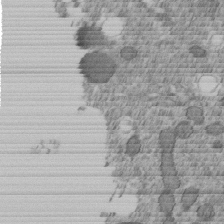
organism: C. elegans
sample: C. elegans embryo early stage